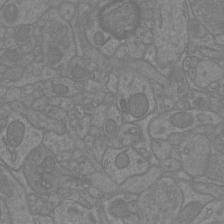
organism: Mouse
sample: Cortical neurons